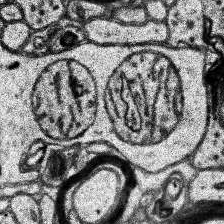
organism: Human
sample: Temporal Lobe